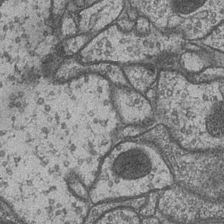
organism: Drosophila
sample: Optic medulla